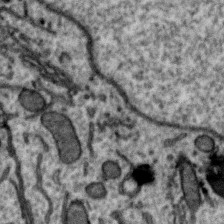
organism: Zebra finch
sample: Brain